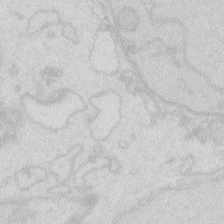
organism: Zebrafish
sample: Macrophage